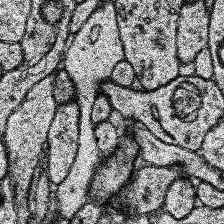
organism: Human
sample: Temporal Lobe